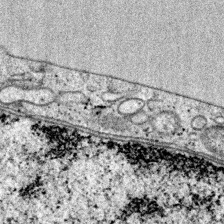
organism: Human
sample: HeLa cells